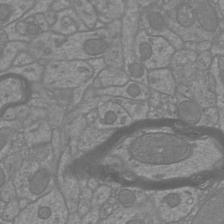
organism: Mouse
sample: Cortical neurons